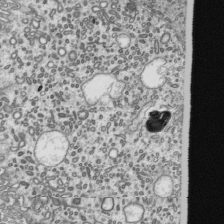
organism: Mouse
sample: Mouse epididymis efferent ductule cilia